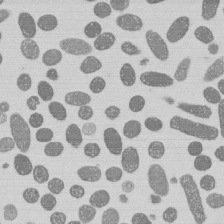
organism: E. coli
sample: Bacterial nucleoid